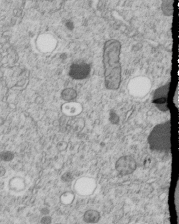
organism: C. elegans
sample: C. elegans embryo early stage